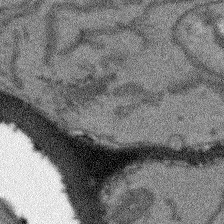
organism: Arabidopsis thaliana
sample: Root tip